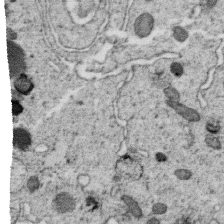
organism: C. elegans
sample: C. elegans oocyte; sperm cells